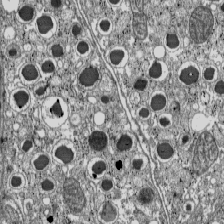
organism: C57BL Mouse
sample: Pancreatic islet